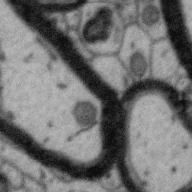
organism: Zebra finch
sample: Brain